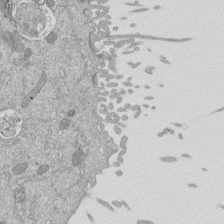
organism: Mouse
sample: ED-1 cell nuclei; centrioles